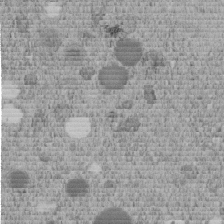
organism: C. elegans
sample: C. elegans embryo early stage